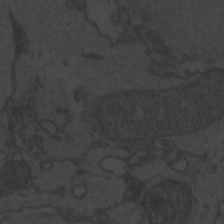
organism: Zebrafish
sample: Macrophage infected with Toxoplasma gondii